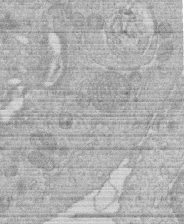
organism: Human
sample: Macrophage cells